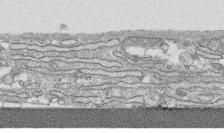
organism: Human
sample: CRL-1474